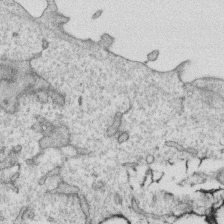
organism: Human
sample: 1205lu cells